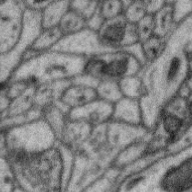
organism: Zebra finch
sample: Brain